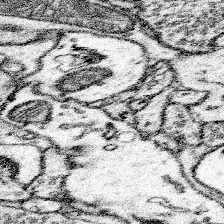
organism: Mouse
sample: Somatosensory cortex neuropil